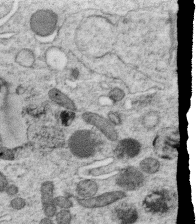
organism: C. elegans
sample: C. elegans oocyte; sperm cells